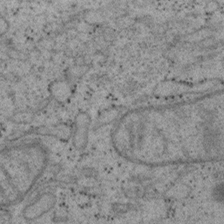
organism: Human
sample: HeLa cells